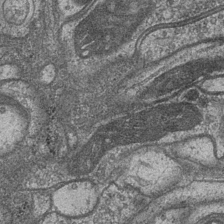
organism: Drosophila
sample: Optic medulla